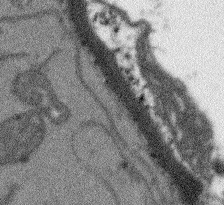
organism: Arabidopsis thaliana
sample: Root tip